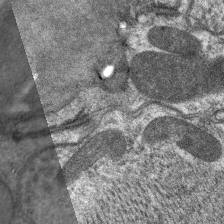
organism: C. elegans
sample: Pharynx